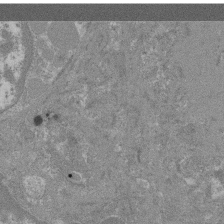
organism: Mouse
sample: Glomerulus